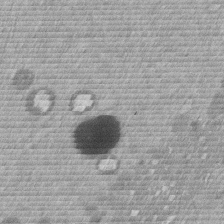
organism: Mouse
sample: Dividing mouse embryo 1 cell stage